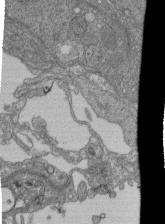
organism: Human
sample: Retinal organoid Rod and Cone cells